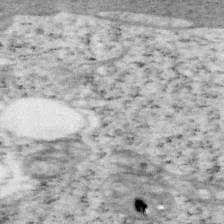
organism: Mouse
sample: OT-I killer T cells with ID8 ovarian cancer cells